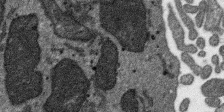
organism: Human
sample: Lung epithelial cells infected with SARS-CoV-2